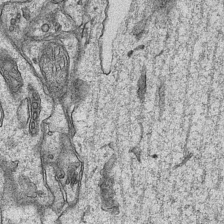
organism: Mouse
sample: CA1 Hippocampus